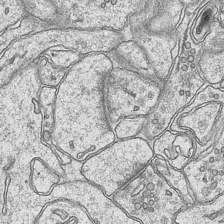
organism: Mouse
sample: CA1 Hippocampus